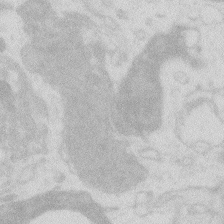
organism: Zebrafish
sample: Macrophage